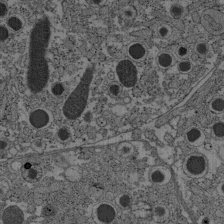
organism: C57BL Mouse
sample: Pancreatic islet